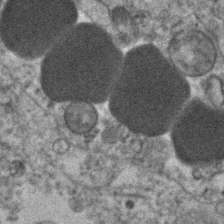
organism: Human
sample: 1205lu cells